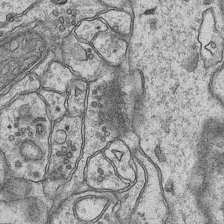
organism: Mouse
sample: CA1 Hippocampus